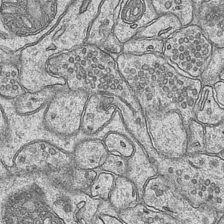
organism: Mouse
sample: CA1 Hippocampus